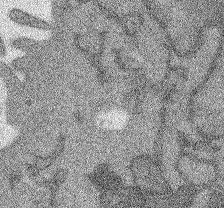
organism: Human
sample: HeLa cells